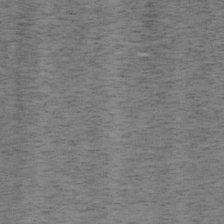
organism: Mouse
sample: OT-I killer T cells with ID8 ovarian cancer cells